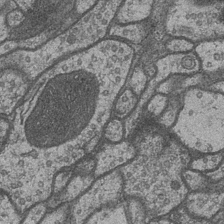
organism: Drosophila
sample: Optic medulla